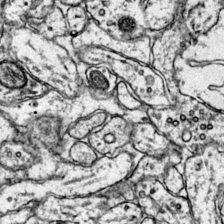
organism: Mouse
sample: Primary visual cortex